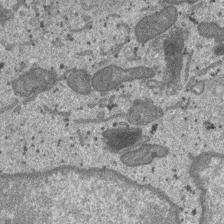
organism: Human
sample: Lung epithelial cells infected with SARS-CoV-2